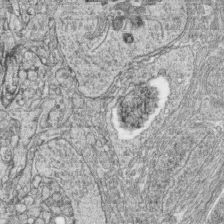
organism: Zebrafish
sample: synaptic ribbons in rod cells and cone cells